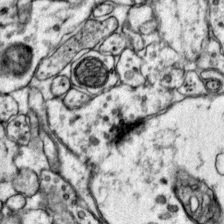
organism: Mouse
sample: Primary visual cortex